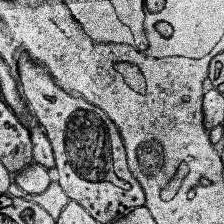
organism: Human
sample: Temporal Lobe